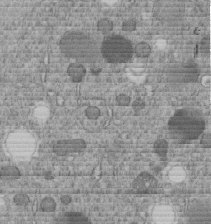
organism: C. elegans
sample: C. elegans embryo early stage